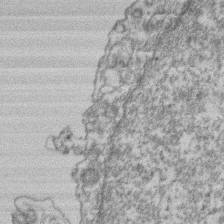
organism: Mouse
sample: T cell stromal cell synapse